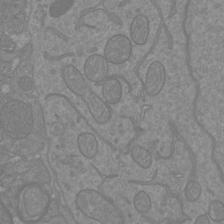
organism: Mouse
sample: Cortical neurons